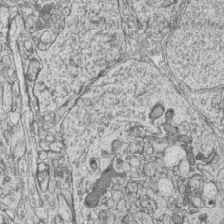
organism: Zebrafish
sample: synaptic ribbons in rod cells and cone cells